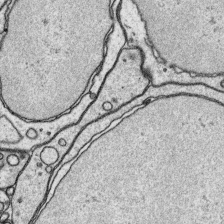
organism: Platynereis dumerilii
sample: Parapodia